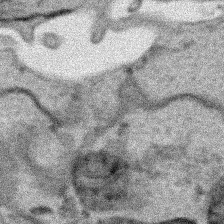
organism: Human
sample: Mitochondria in HCT116 cells